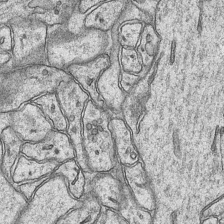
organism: Mouse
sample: CA1 Hippocampus